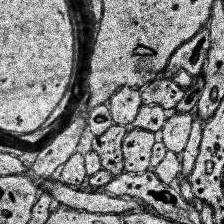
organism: Human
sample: Temporal Lobe